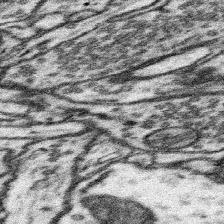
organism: Mouse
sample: Somatosensory cortex neuropil